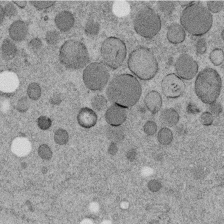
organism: C. elegans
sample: C. elegans embryo early stage